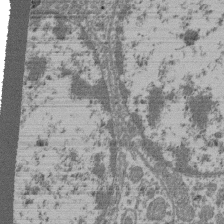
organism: Mouse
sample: Glomerulus